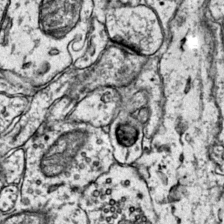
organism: Mouse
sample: Primary visual cortex